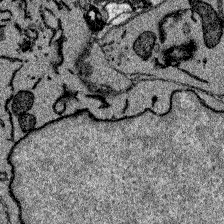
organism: Zebrafish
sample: Larval olfactory bulb